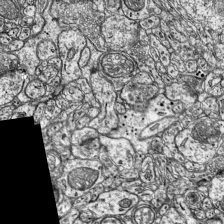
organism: Mouse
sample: Visual Cortex